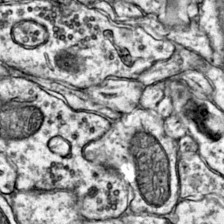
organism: Mouse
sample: Primary visual cortex